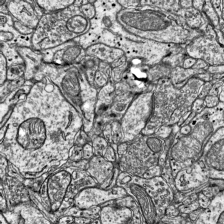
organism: Mouse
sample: Visual Cortex